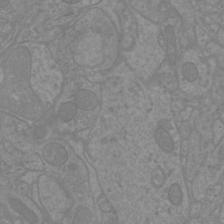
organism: Mouse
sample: Cortical neurons